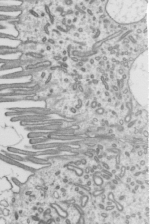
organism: Mouse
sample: Mouse epididymis efferent ductule cilia